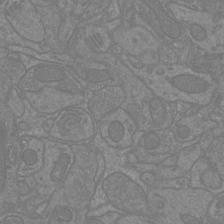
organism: Mouse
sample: Cortical neurons